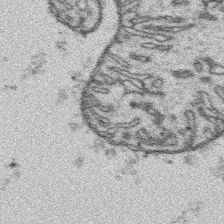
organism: Platynereis dumerilii